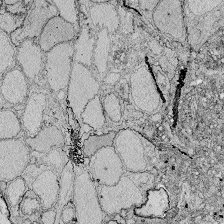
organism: Zebrafish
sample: Whole-Brain